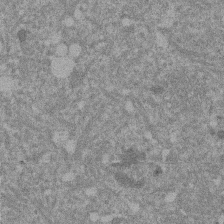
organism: Mouse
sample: Dividing mouse embryo 1 cell stage